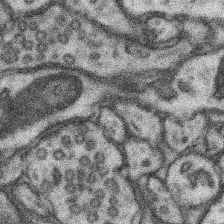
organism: Mouse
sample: Somatosensory cortex neuropil